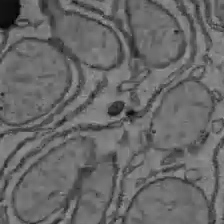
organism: C57BL Mouse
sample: Liver